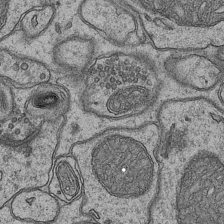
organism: Mouse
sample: CA1 Hippocampus